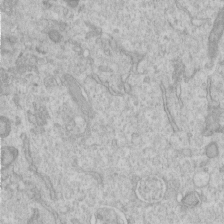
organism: Human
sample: Centriole in RPE cells